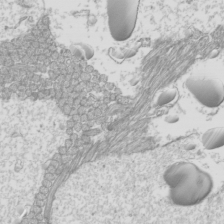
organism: Mouse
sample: Cilia; mouse epididymis